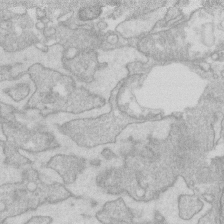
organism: Human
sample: Fibroblast cells